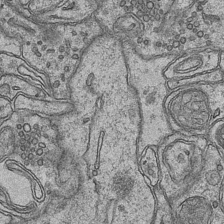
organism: Mouse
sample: CA1 Hippocampus